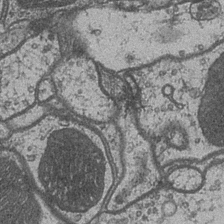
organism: Drosophila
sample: Optic medulla